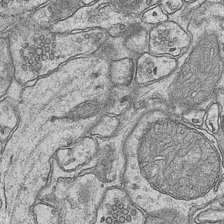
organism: Mouse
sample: CA1 Hippocampus